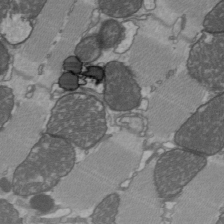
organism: C57BL Mouse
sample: Heart